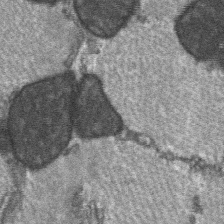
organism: C57BL Mouse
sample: Soleus